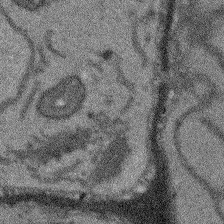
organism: Arabidopsis thaliana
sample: Root tip